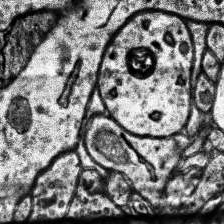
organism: Human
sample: Temporal Lobe